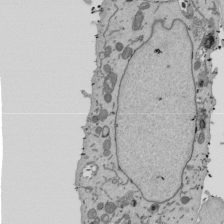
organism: Mouse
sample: ED-1 cell nuclei; centrioles